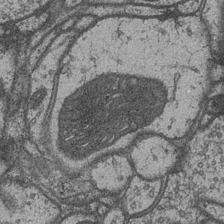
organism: Drosophila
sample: Optic medulla